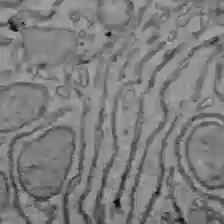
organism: C57BL Mouse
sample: Liver